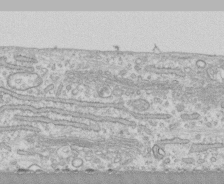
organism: Human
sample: CRL-1474